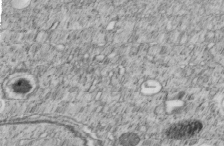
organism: C. elegans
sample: C. elegans embryo early stage